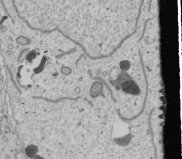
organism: Human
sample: Mitochondria in U2OS cells